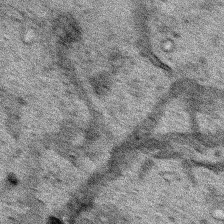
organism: Human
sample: Mitochondria in HCT116 cells